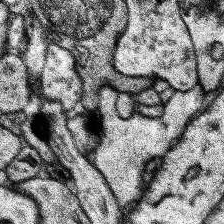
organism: Human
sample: Temporal Lobe